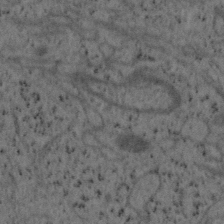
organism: Human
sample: HeLa cells